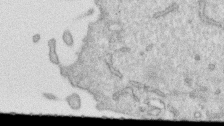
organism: Human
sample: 1205lu cells